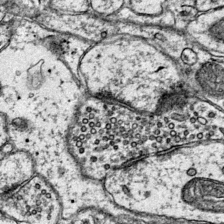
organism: Mouse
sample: Primary visual cortex